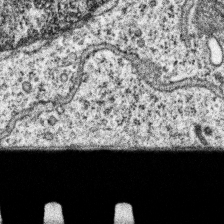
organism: Human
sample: HeLa cells